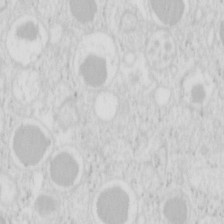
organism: Mouse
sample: Pancreas